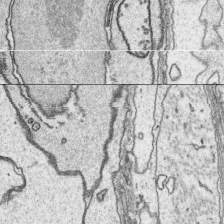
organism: Platynereis dumerilii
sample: Parapodia